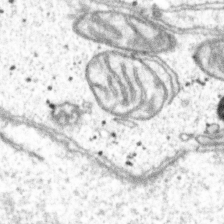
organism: Human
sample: HeLa cells